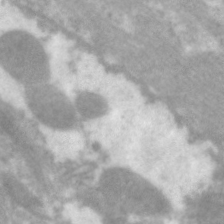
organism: C. elegans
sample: Pharynx